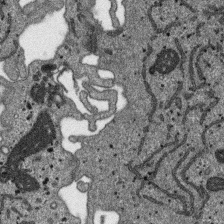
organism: Human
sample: Lung epithelial cells infected with SARS-CoV-2